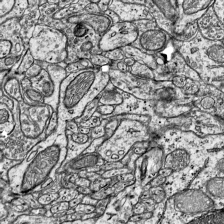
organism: Mouse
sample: Visual Cortex